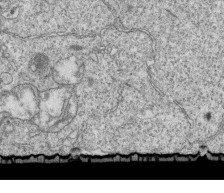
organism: Human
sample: HeLa cell HIV synapse